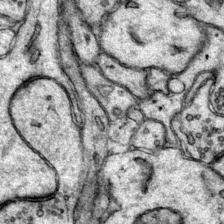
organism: Mouse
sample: Primary visual cortex